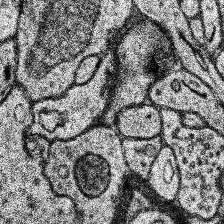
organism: Human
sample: Temporal Lobe